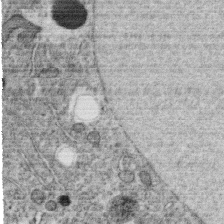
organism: C. elegans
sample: C. elegans oocyte; sperm cells